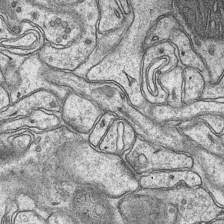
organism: Mouse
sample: CA1 Hippocampus